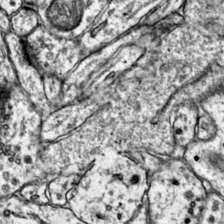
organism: Mouse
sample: Primary visual cortex